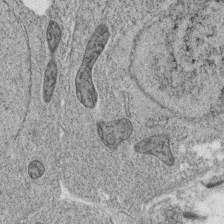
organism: C. elegans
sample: C. elegans oocyte; sperm cells